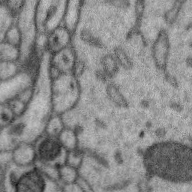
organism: Zebra finch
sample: Brain